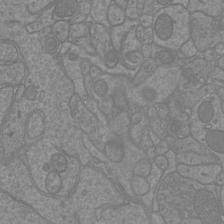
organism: Mouse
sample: Cortical neurons